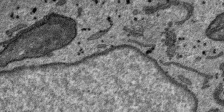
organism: Human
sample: Lung epithelial cells, uninfected (mock) control